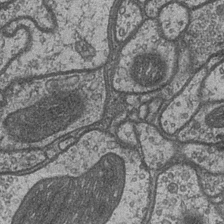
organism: Drosophila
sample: Optic medulla